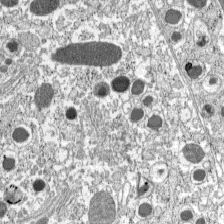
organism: C57BL Mouse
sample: Pancreatic islet